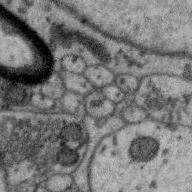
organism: Zebra finch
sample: Brain